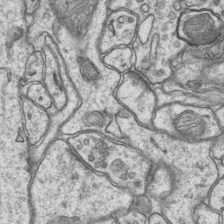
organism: Mouse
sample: CA1 Hippocampus